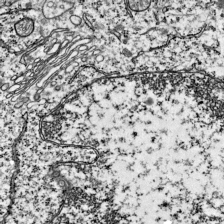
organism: Mouse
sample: Visual Cortex